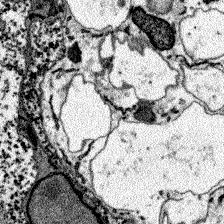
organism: Zebrafish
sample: Larval olfactory bulb